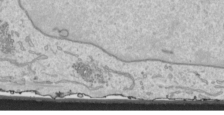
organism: Human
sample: Mitochondria in HCT116 cells